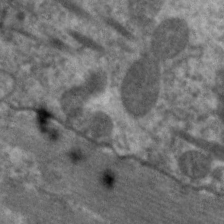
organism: C. elegans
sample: Pharynx